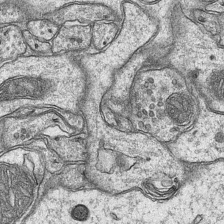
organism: Mouse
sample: CA1 Hippocampus